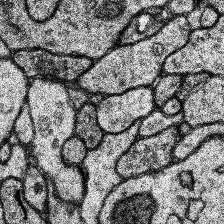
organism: Human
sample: Temporal Lobe